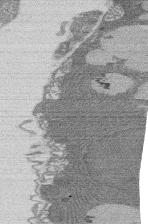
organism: Rat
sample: Salivary granule